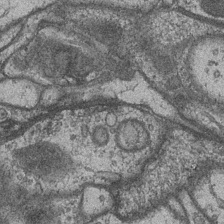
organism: Drosophila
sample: Optic medulla